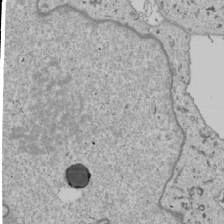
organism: Human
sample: Mitochondria in U2OS cells